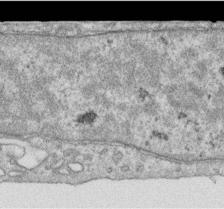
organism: Human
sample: Centriole in RPE cells